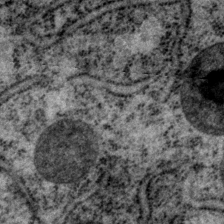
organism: P. pacificus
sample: Pharynx